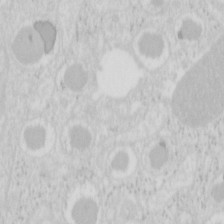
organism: Mouse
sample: Pancreas